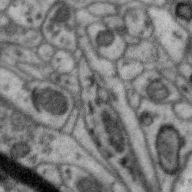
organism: Zebra finch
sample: Brain